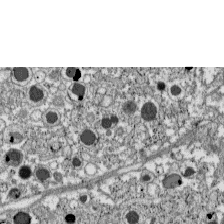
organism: C57BL Mouse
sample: Pancreatic islet